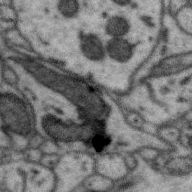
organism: Zebra finch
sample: Brain